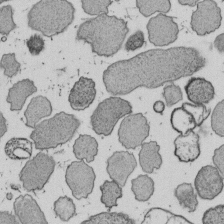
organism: E. coli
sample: Bacterial nucleoid